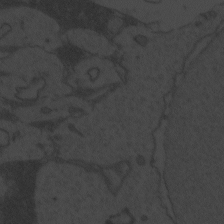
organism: Zebrafish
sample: Macrophage infected with Toxoplasma gondii